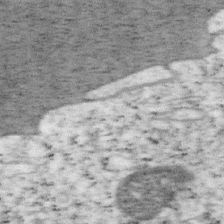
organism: Mouse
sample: OT-I killer T cells with ID8 ovarian cancer cells